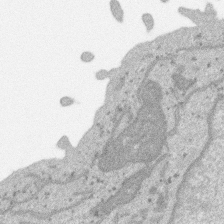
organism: Human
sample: Lung epithelial cells infected with SARS-CoV-2